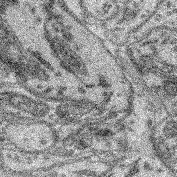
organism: Mouse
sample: Retina